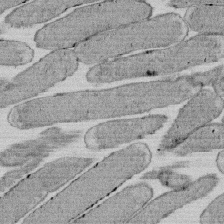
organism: E. coli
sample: Bacterial nucleoid